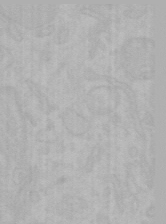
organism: Mouse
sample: Choroid plexus